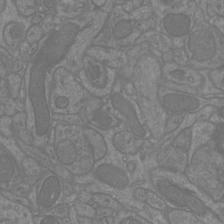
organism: Mouse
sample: Cortical neurons